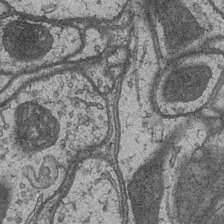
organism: Drosophila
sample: Optic medulla